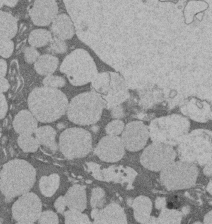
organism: Rat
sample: Salivary granule